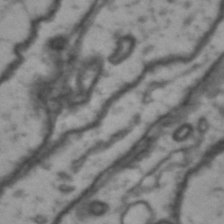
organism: Drosophila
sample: Brain